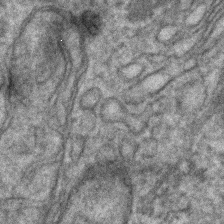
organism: Human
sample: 1205lu cells